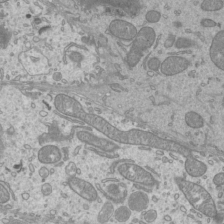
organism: Mouse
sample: Cilia; mouse epididymis